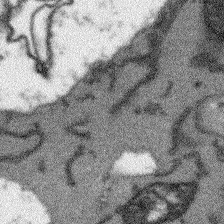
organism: Arabidopsis thaliana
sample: Root tip